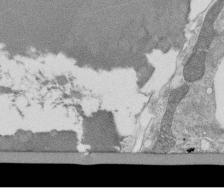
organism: Tetrahymena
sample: Cilia in tetrahymena